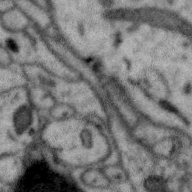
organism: Zebra finch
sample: Brain